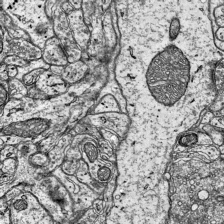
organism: Mouse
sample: Visual Cortex